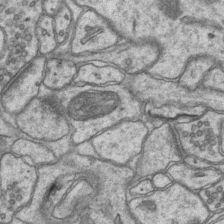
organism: Mouse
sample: CA1 Hippocampus